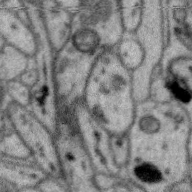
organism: Zebra finch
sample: Brain